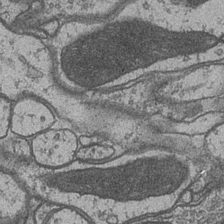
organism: Drosophila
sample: Optic medulla